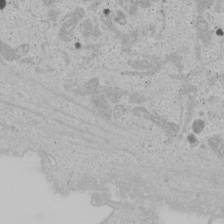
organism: Human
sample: Mitochondria in U2OS cells